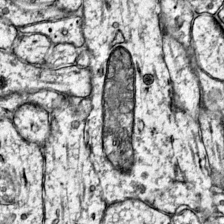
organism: Mouse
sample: Primary visual cortex